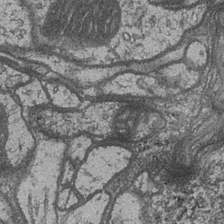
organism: Drosophila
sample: Optic medulla